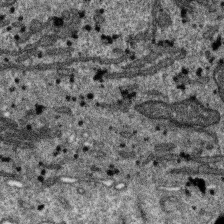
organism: Human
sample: Lung epithelial cells infected with SARS-CoV-2